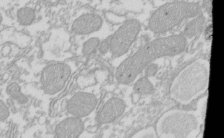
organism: Xenopus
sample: Cilia; centrioles in frog embryo cells